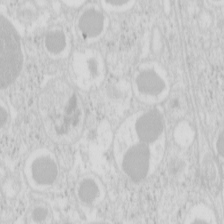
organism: Mouse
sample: Pancreas